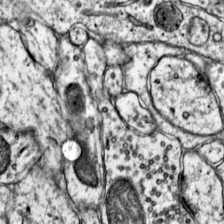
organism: Mouse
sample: Primary visual cortex